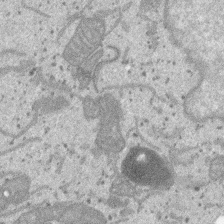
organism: Human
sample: Lung epithelial cells infected with SARS-CoV-2